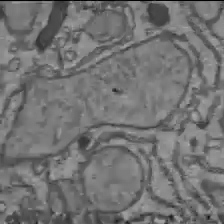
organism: C57BL Mouse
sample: Liver